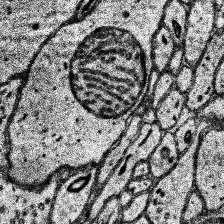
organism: Human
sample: Temporal Lobe